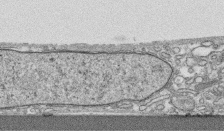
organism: Human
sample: CRL-1474